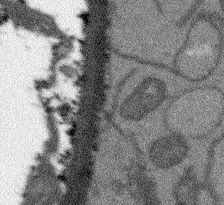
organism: Arabidopsis thaliana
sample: Root tip